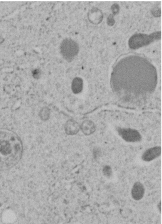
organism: C. elegans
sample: C. elegans embryo early stage